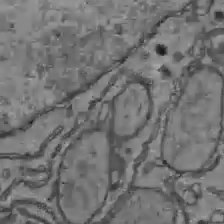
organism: C57BL Mouse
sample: Liver